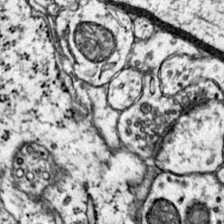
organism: Mouse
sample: Primary visual cortex